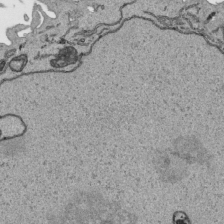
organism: Human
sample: Mitochondria in HCT116 cells